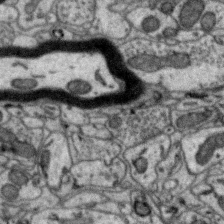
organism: Zebra finch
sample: Brain